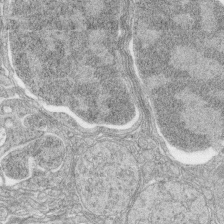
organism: Zebrafish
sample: synaptic ribbons in rod cells and cone cells